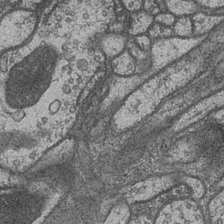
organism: Drosophila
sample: Optic medulla